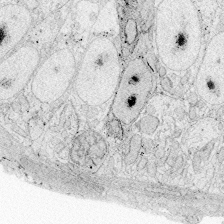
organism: Zebrafish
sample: Whole-Brain